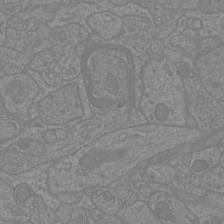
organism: Mouse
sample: Cortical neurons